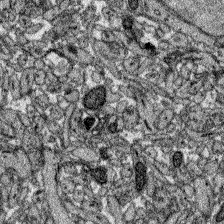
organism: Zebrafish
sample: Larval olfactory bulb